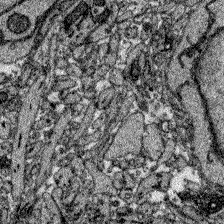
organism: Zebrafish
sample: Larval olfactory bulb